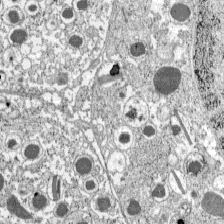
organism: C57BL Mouse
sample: Pancreatic islet